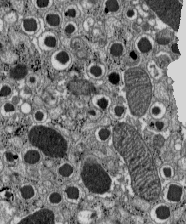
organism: C57BL Mouse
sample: Pancreatic islet